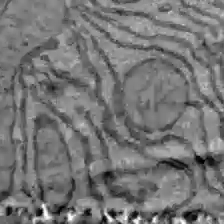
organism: C57BL Mouse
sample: Liver